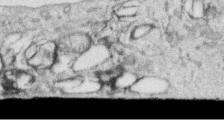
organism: Human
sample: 1205lu cells